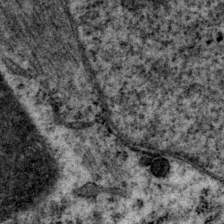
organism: P. pacificus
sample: Pharynx